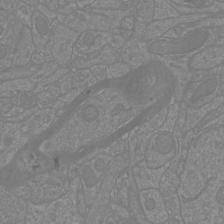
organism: Mouse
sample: Cortical neurons